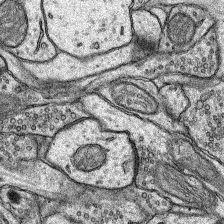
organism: Rat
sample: Hippocampus